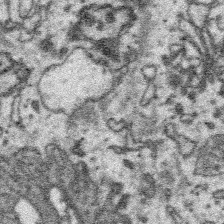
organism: Platynereis dumerilii